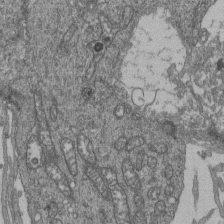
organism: Human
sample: Retinal organoid Rod and Cone cells